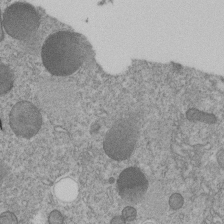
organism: C. elegans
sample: C. elegans embryo early stage